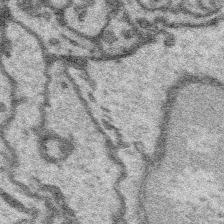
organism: Platynereis dumerilii